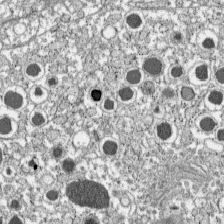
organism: C57BL Mouse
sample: Pancreatic islet